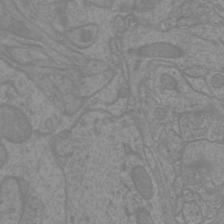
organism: Mouse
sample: Cortical neurons